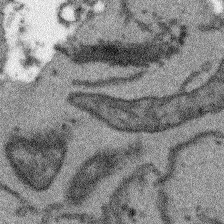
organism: Arabidopsis thaliana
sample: Root tip